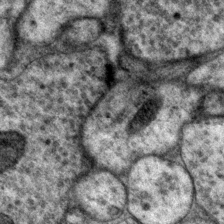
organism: P. pacificus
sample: Pharynx